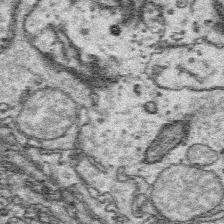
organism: Platynereis dumerilii